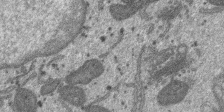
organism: Human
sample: Lung epithelial cells infected with SARS-CoV-2